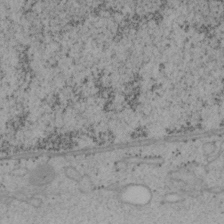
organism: Human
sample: HeLa cells